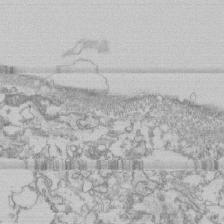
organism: Human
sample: CRL-1474